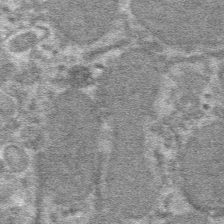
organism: Mouse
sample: Mouse hepatocytes